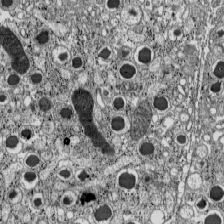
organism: C57BL Mouse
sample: Pancreatic islet